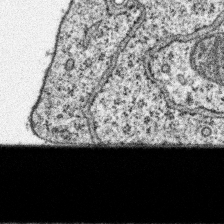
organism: Human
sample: HeLa cells